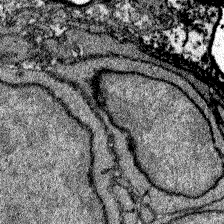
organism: Zebrafish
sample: Larval olfactory bulb